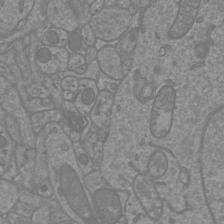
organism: Mouse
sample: Cortical neurons